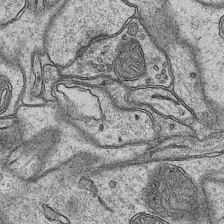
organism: Mouse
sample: CA1 Hippocampus